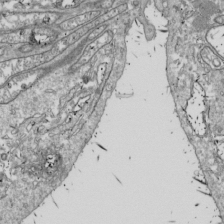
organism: Drosophila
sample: Cell division; meiosis; drosophila spermatocytes